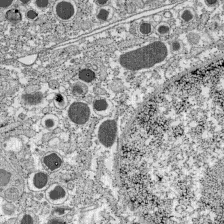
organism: C57BL Mouse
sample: Pancreatic islet